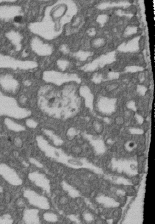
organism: Drosophila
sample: Nephrocyte